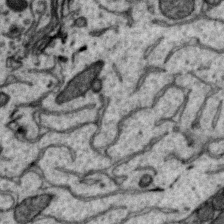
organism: Zebra finch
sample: Brain